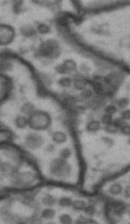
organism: Drosophila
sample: Brain